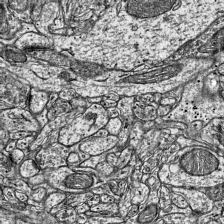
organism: Mouse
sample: Visual Cortex